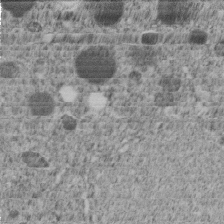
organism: C. elegans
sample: C. elegans embryo early stage